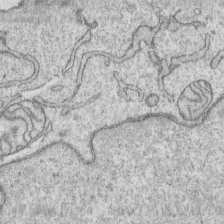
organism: Human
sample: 1205lu cells